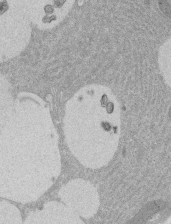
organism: Rat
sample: Salivary granule